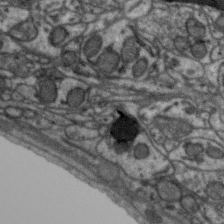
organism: Zebra finch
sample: Brain